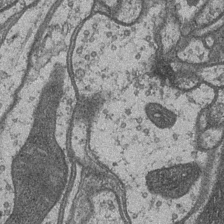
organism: Drosophila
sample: Optic medulla